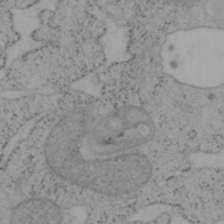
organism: Mouse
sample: OT-I killer T cells with ID8 ovarian cancer cells